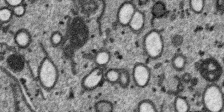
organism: Human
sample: Lung epithelial cells infected with SARS-CoV-2